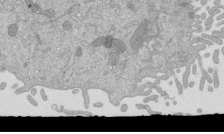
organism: Mouse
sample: ED-1 cell nuclei; centrioles